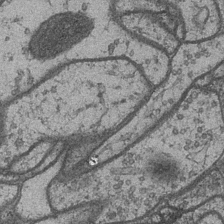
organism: Drosophila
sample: Optic medulla